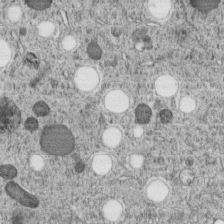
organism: C. elegans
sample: C. elegans embryo early stage